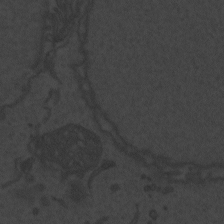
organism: Zebrafish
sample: Macrophage infected with Toxoplasma gondii